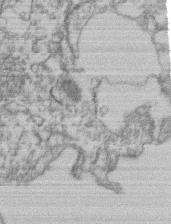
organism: Mouse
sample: T cell stromal cell synapse